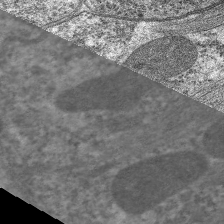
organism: C. elegans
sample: Pharynx